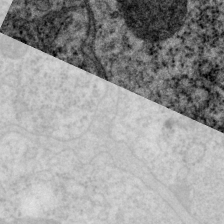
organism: P. pacificus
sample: Pharynx